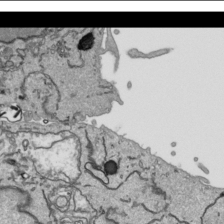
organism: Human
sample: Mitochondria in HCT116 cells